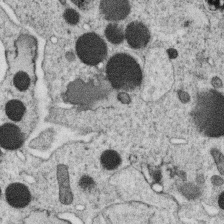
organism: C. elegans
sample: C. elegans oocyte; sperm cells